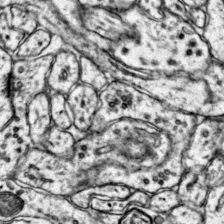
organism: Mouse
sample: Primary visual cortex